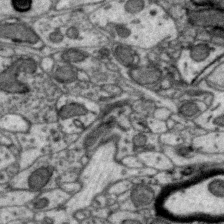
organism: Zebra finch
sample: Brain